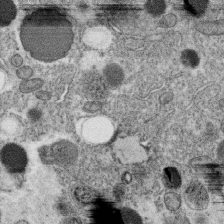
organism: C. elegans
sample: C. elegans oocyte; sperm cells